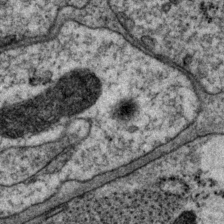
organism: P. pacificus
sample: Pharynx